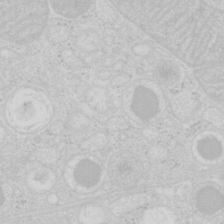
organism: Mouse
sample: Pancreas